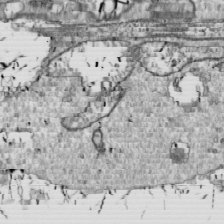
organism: Drosophila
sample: Cell division; meiosis; drosophila spermatocytes